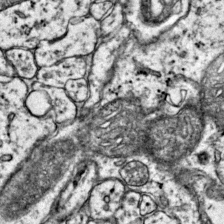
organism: Mouse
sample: Primary visual cortex